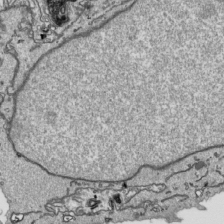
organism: Human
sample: Mitochondria in HCT116 cells